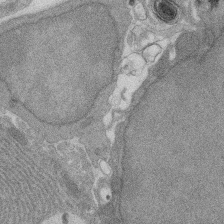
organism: Rat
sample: Salivary granule